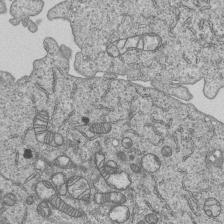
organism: Human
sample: MDA-MB-231 cells